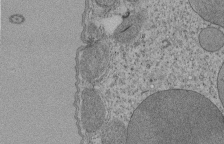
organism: Tetrahymena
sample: Cilia in tetrahymena